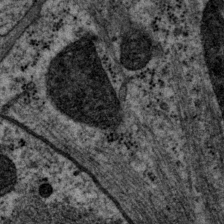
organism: P. pacificus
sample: Pharynx